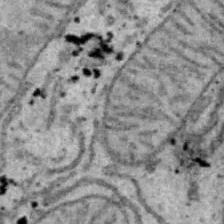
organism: Mouse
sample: Liver from an obese (ob/ob) mouse